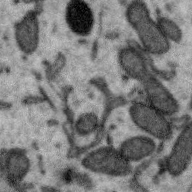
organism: Zebra finch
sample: Brain